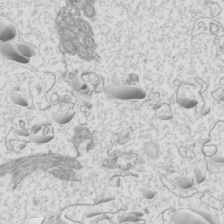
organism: Mouse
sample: Cilia; mouse epididymis